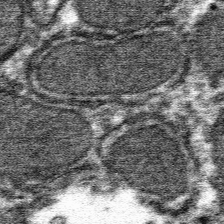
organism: Mouse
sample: Mouse hepatocytes